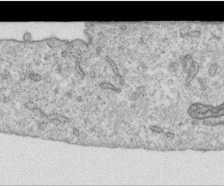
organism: Human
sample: Centriole in RPE cells